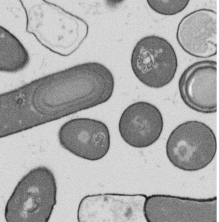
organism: B. subtilis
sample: Bacterial spore